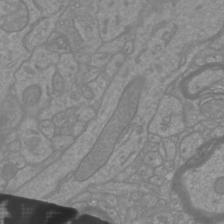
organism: Mouse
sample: Cortical neurons